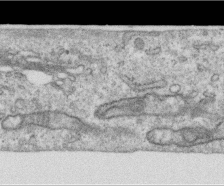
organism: Human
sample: Centriole in RPE cells